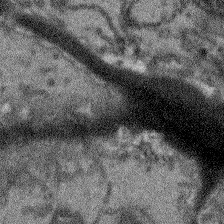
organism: Arabidopsis thaliana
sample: Root tip